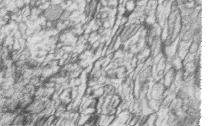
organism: Zebrafish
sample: synaptic ribbons in rod cells and cone cells